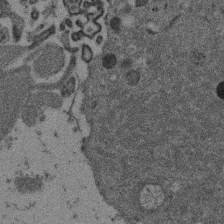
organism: Mouse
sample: Dividing mouse embryo 1 cell stage